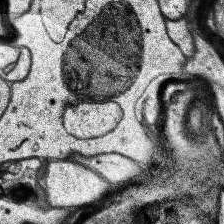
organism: Human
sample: Temporal Lobe